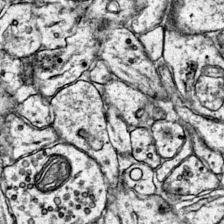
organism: Mouse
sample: Primary visual cortex